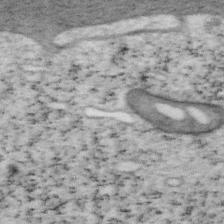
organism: Mouse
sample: OT-I killer T cells with ID8 ovarian cancer cells